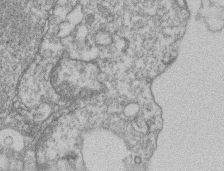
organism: Mouse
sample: T cell stromal cell synapse